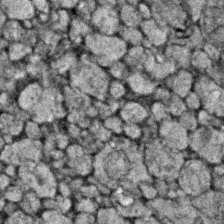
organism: Zebrafish